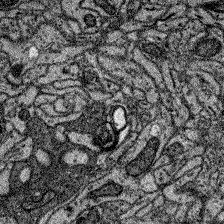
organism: Zebrafish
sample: Larval olfactory bulb